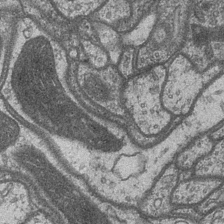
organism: Drosophila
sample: Optic medulla